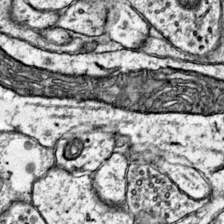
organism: Mouse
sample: Primary visual cortex